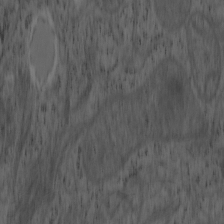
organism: Human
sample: HeLa cells